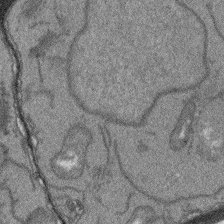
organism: Arabidopsis thaliana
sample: Root tip